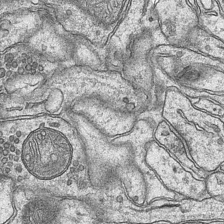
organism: Mouse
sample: CA1 Hippocampus